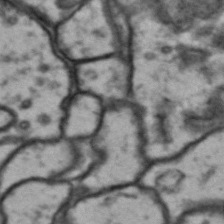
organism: Drosophila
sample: Brain